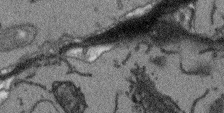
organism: Arabidopsis thaliana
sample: Root tip